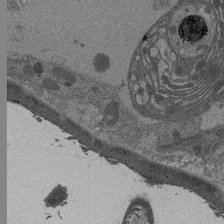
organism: Drosophila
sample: Antenna